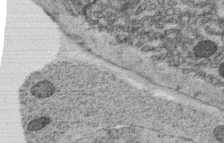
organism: C. elegans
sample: C. elegans oocyte; sperm cells